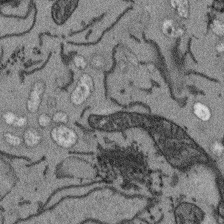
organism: Arabidopsis thaliana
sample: Root tip